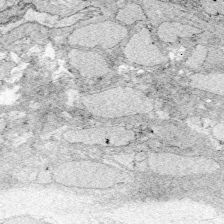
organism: Zebrafish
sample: Whole-Brain